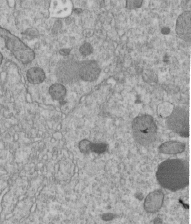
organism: C. elegans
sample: C. elegans embryo early stage